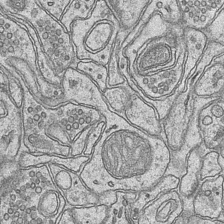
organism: Mouse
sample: CA1 Hippocampus